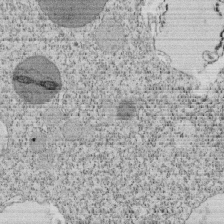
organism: Tetrahymena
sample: Cilia in tetrahymena